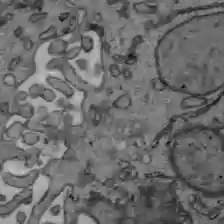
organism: C57BL Mouse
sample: Liver